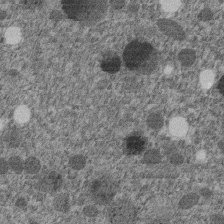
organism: C. elegans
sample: C. elegans embryo early stage